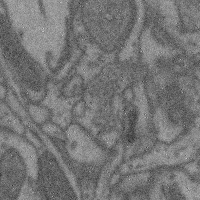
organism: Mouse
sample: Cerebral cortex